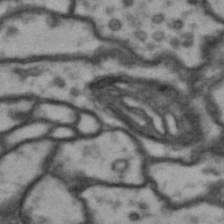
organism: Drosophila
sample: Brain